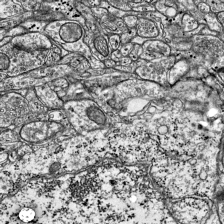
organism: Mouse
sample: Visual Cortex